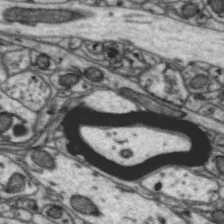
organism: Zebra finch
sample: Brain